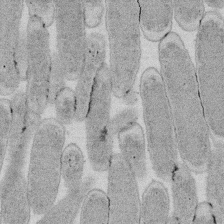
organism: E. coli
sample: Bacterial nucleoid